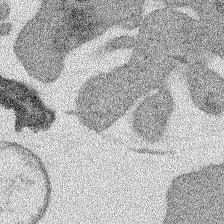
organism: Human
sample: HeLa cells